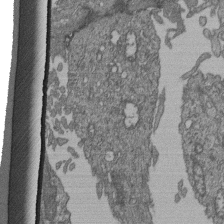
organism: Human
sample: Retinal organoid Rod and Cone cells